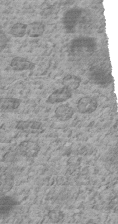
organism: C. elegans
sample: C. elegans embryo early stage